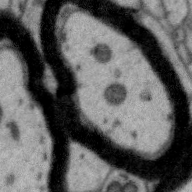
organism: Zebra finch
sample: Brain